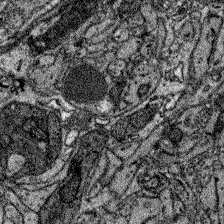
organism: Zebrafish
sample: Larval olfactory bulb